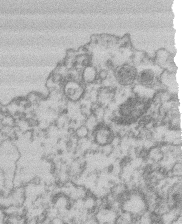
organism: Mouse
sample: T cell stromal cell synapse